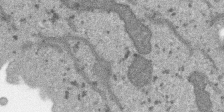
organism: Human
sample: Lung epithelial cells infected with SARS-CoV-2